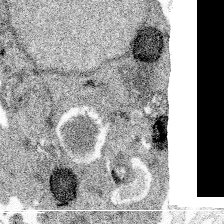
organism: Spongilla lacustris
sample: Multiple